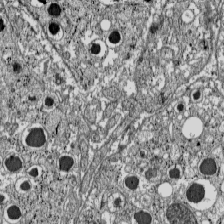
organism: C57BL Mouse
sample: Pancreatic islet